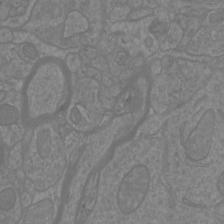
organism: Mouse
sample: Cortical neurons